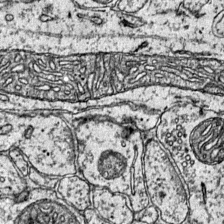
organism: Mouse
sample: Primary visual cortex